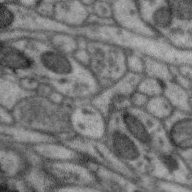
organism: Zebra finch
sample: Brain